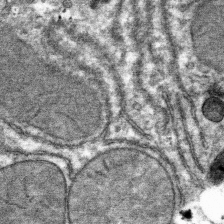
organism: Mouse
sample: Mouse hepatocytes